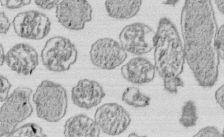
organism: E. coli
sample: Bacterial nucleoid